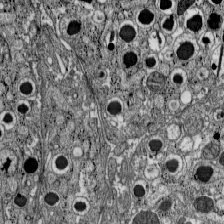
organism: C57BL Mouse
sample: Pancreatic islet